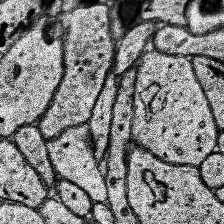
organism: Human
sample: Temporal Lobe